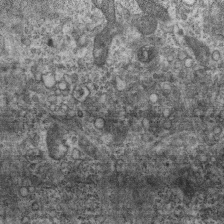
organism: Mouse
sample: Centriole in ependymal cells